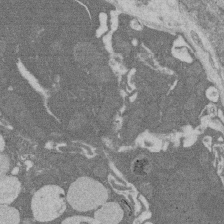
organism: Rat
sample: Salivary granule